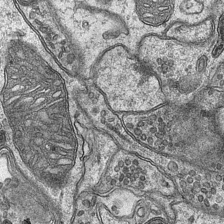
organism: Mouse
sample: CA1 Hippocampus